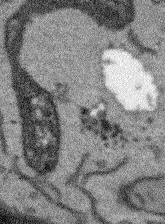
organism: Arabidopsis thaliana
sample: Root tip